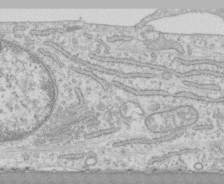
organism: Human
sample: CRL-1474